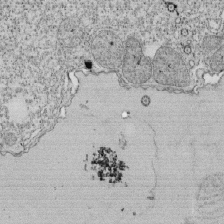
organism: Tetrahymena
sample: Cilia in tetrahymena